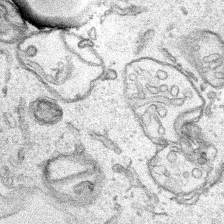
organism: Human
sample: Mitochondria in HCT116 cells